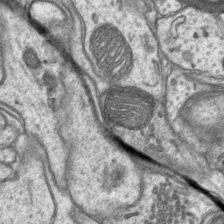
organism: Mouse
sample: CA1 Hippocampus